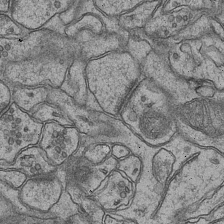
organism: Mouse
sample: CA1 Hippocampus